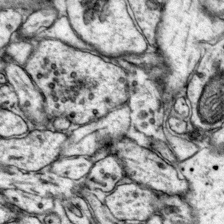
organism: Mouse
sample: Primary visual cortex